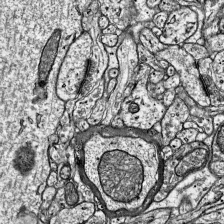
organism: Mouse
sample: Visual Cortex